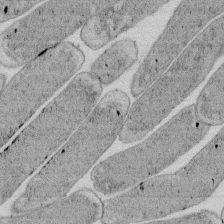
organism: E. coli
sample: Bacterial nucleoid